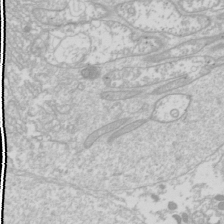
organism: Drosophila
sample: Cell division; meiosis; drosophila spermatocytes